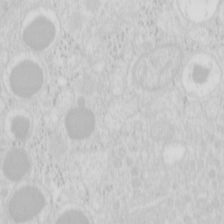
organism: Mouse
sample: Pancreas